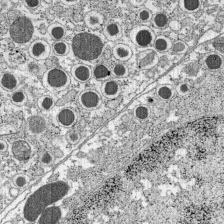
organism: C57BL Mouse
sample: Pancreatic islet